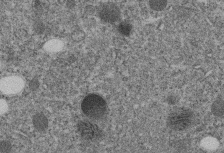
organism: C. elegans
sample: C. elegans embryo early stage